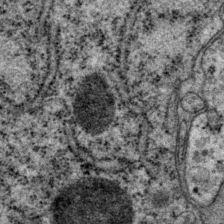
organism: P. pacificus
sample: Pharynx